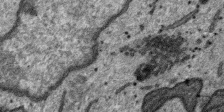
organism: Human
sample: Lung epithelial cells, uninfected (mock) control